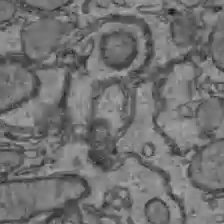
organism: C57BL Mouse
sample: Liver